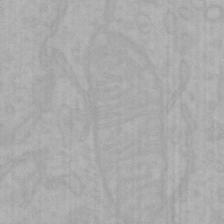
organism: Mouse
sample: Choroid plexus